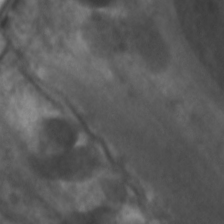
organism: C. elegans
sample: Pharynx